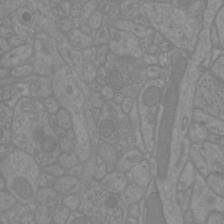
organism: Mouse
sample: Cortical neurons